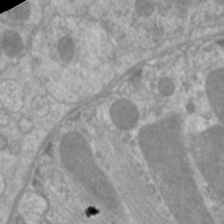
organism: C. elegans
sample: Pharynx